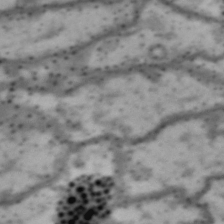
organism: Drosophila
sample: Brain